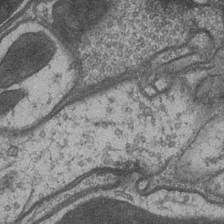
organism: Drosophila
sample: Optic medulla